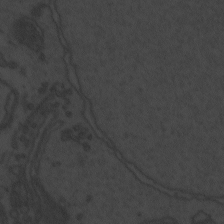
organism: Zebrafish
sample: Macrophage infected with Toxoplasma gondii